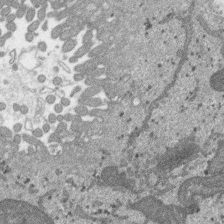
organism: Human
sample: Lung epithelial cells infected with SARS-CoV-2